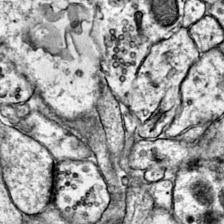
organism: Mouse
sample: Primary visual cortex